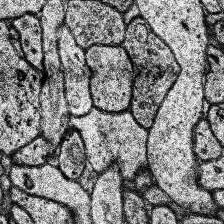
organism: Human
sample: Temporal Lobe